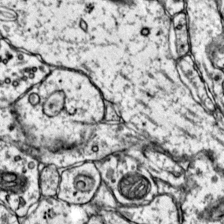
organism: Mouse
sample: Primary visual cortex